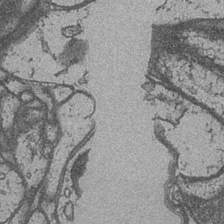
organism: Drosophila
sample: Optic medulla